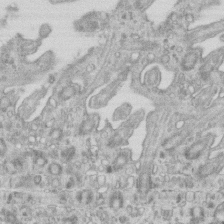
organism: Mouse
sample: Centriole in ependymal cells